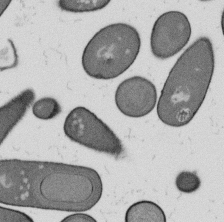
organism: B. subtilis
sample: Bacterial spore